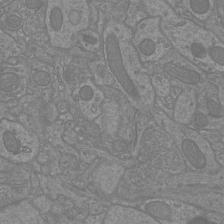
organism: Mouse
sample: Cortical neurons